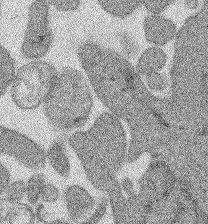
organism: Human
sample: HeLa cells